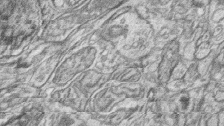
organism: Zebrafish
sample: synaptic ribbons in rod cells and cone cells